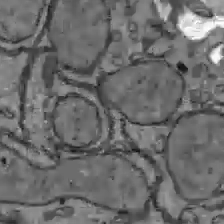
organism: C57BL Mouse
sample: Liver